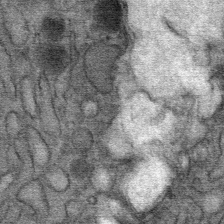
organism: Mouse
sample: Mouse Salivary gland